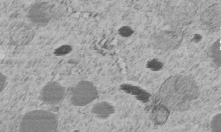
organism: C. elegans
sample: C. elegans embryo early stage